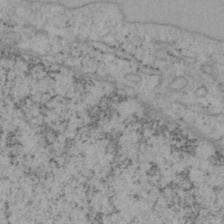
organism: Human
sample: HeLa cells